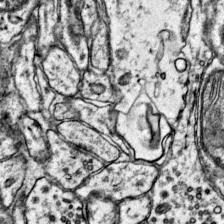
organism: Mouse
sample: Primary visual cortex